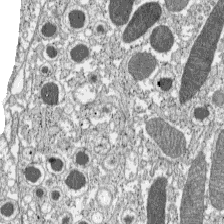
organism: C57BL Mouse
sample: Pancreatic islet